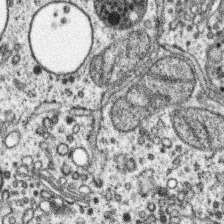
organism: Human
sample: HeLa cells